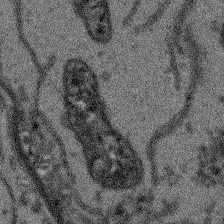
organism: Arabidopsis thaliana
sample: Root tip